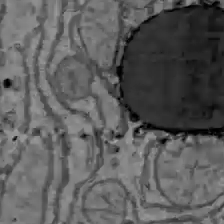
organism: C57BL Mouse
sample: Liver